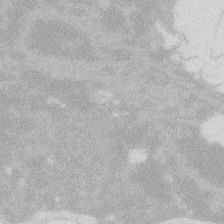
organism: Zebrafish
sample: Macrophage